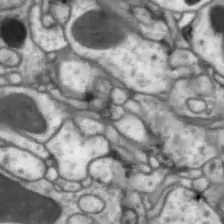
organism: Drosophila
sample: Optic lobe